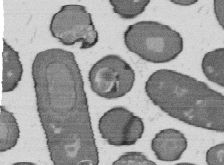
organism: B. subtilis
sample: Bacterial spore